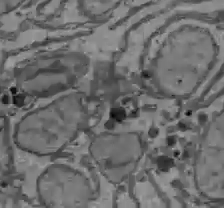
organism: C57BL Mouse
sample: Liver